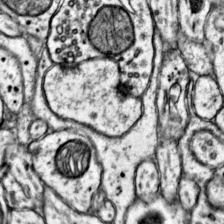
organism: Mouse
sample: Primary visual cortex